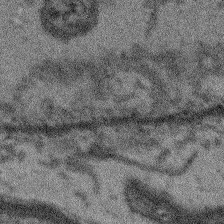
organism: Arabidopsis thaliana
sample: Root tip